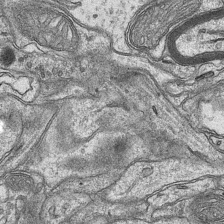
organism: Mouse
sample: CA1 Hippocampus